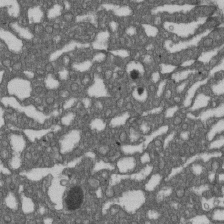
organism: Drosophila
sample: Nephrocyte